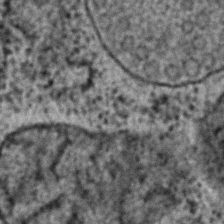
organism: C. elegans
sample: C. elegans embryo